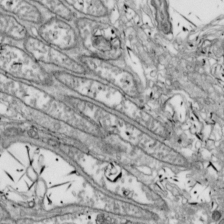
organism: Drosophila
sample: Cell division; meiosis; drosophila spermatocytes